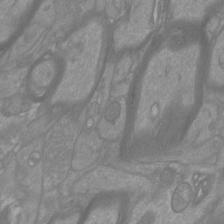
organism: Mouse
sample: Cortical neurons